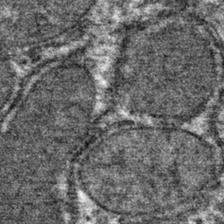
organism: Mouse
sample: Mouse hepatocytes